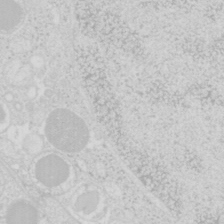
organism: Mouse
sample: Pancreas